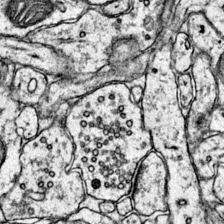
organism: Mouse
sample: Primary visual cortex